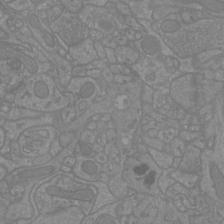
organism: Mouse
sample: Cortical neurons